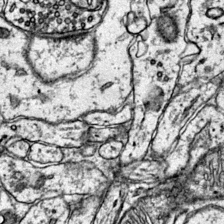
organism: Mouse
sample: Primary visual cortex